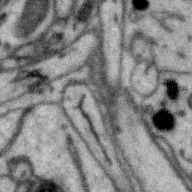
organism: Zebra finch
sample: Brain